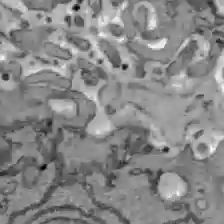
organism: C57BL Mouse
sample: Liver